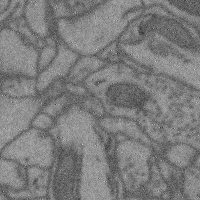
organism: Mouse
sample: Cerebral cortex